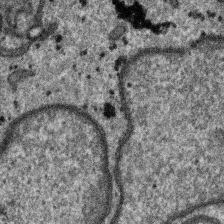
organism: Human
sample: Lung epithelial cells infected with SARS-CoV-2